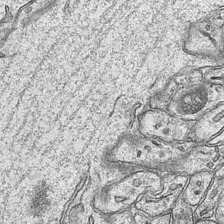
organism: Mouse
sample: CA1 Hippocampus